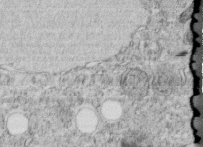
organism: C. elegans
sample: C. elegans embryo early stage